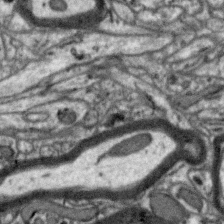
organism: Zebra finch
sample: Brain